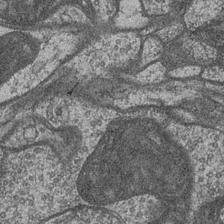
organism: Drosophila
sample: Optic medulla